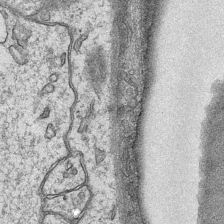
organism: Mouse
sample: CA1 Hippocampus